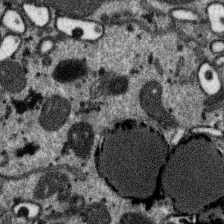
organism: Human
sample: Lung epithelial cells infected with SARS-CoV-2